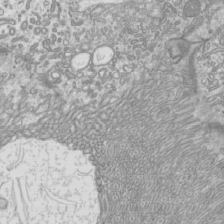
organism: Mouse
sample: Cilia; mouse epididymis